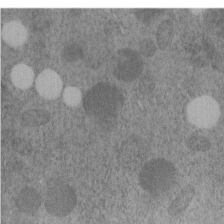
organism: C. elegans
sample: C. elegans embryo early stage